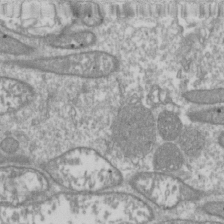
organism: Drosophila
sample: Cell division; meiosis; drosophila spermatocytes